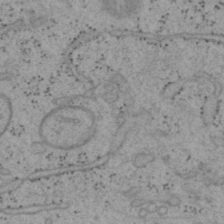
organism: Human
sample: HeLa cells